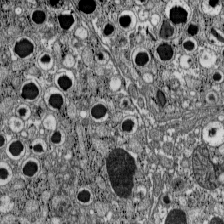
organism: C57BL Mouse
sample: Pancreatic islet